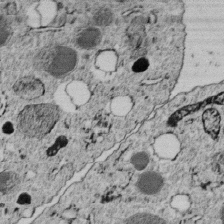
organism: C. elegans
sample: C. elegans embryo early stage